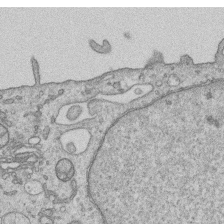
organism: Human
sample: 1205lu cells